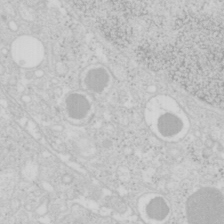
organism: Mouse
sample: Pancreas